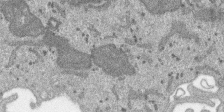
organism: Human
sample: Lung epithelial cells infected with SARS-CoV-2